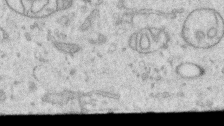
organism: Human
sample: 1205lu cells